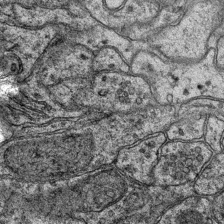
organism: Mouse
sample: CA1 Hippocampus